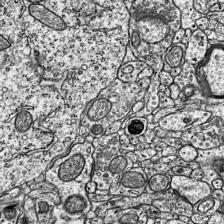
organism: Mouse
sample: Visual Cortex